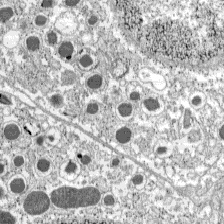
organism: C57BL Mouse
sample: Pancreatic islet